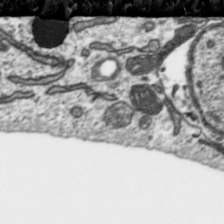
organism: Toxoplasma gondii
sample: Parasites in a vacuole inside a host cell